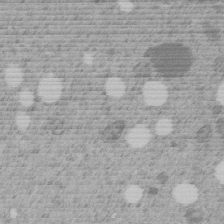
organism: C. elegans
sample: C. elegans embryo early stage